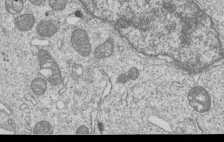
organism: Human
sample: MDA-MB-231 cells